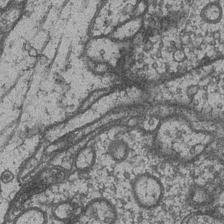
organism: Drosophila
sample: Optic medulla